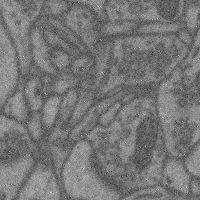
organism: Mouse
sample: Cerebral cortex